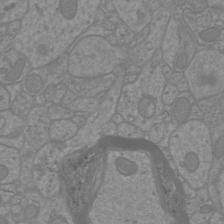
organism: Mouse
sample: Cortical neurons